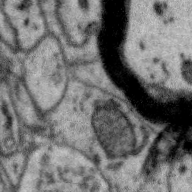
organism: Zebra finch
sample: Brain